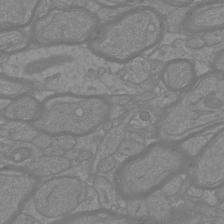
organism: Mouse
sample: Cortical neurons